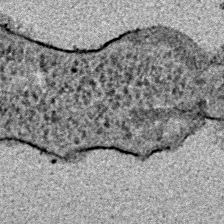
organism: E. coli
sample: E. Coli Bacteria